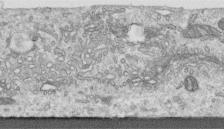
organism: Human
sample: Centriole in RPE cells